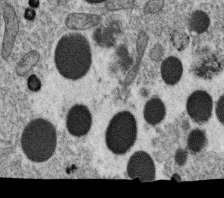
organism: C. elegans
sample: C. elegans oocyte; sperm cells